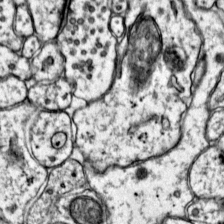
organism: Mouse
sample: Primary visual cortex